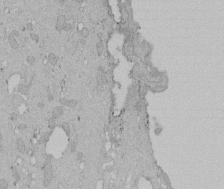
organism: Human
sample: Melanocyte Keratinocyte synapse skin construct